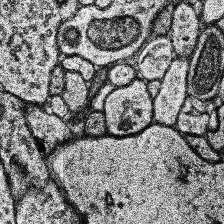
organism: Human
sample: Temporal Lobe